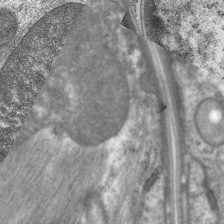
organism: C. elegans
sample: Pharynx